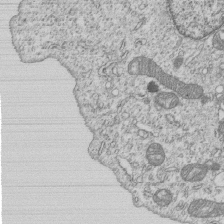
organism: Human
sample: MDA-MB-231 cells